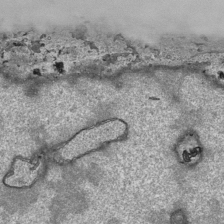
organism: Human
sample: Mitochondria in HCT116 cells